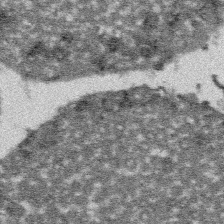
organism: Platynereis dumerilii